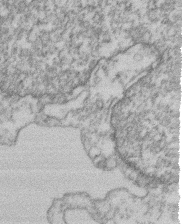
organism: Mouse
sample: T cell stromal cell synapse